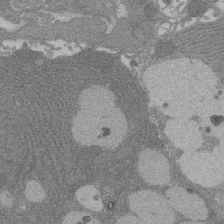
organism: Rat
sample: Salivary granule